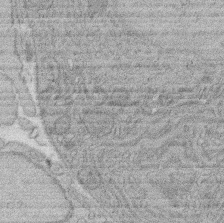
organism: Rat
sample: Salivary granule